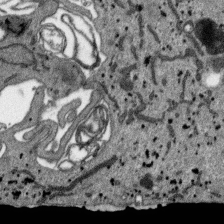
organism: Human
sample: Lung epithelial cells, uninfected (mock) control